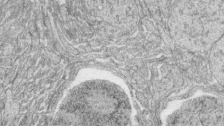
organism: Zebrafish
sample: synaptic ribbons in rod cells and cone cells